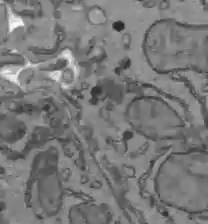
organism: C57BL Mouse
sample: Liver